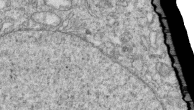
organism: Human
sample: HeLa cell HIV synapse